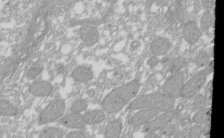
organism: Xenopus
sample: Cilia; centrioles in frog embryo cells